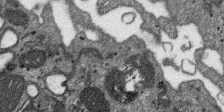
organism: Human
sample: Lung epithelial cells infected with SARS-CoV-2